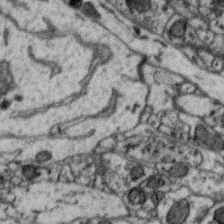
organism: Zebra finch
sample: Brain